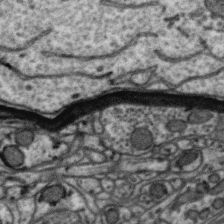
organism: Zebra finch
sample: Brain